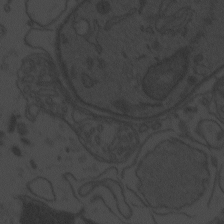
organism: Zebrafish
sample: Macrophage infected with Toxoplasma gondii